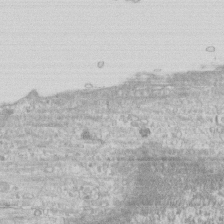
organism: Human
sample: CRL-1474